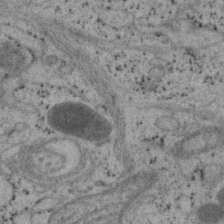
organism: Human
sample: HeLa cells